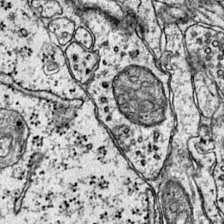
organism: Mouse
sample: Primary visual cortex